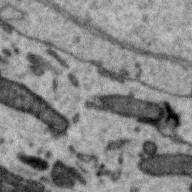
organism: Zebra finch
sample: Brain